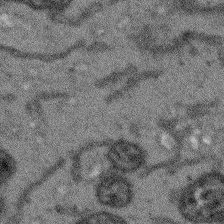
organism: Arabidopsis thaliana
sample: Root tip